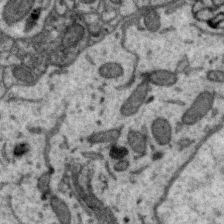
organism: Zebra finch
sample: Brain